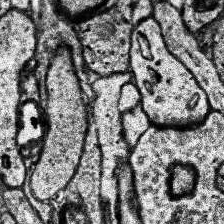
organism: Human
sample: Temporal Lobe